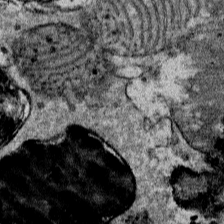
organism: Mouse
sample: Mouse Salivary gland